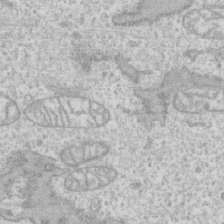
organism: Human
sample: CRL-1474